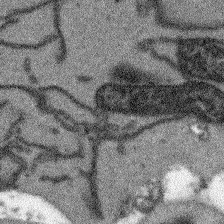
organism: Arabidopsis thaliana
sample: Root tip